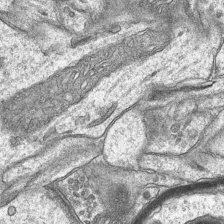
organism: Mouse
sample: CA1 Hippocampus